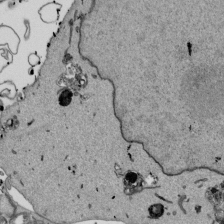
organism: Mouse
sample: ED-1 cell nuclei; centrioles